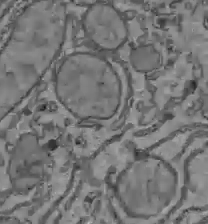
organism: C57BL Mouse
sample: Liver